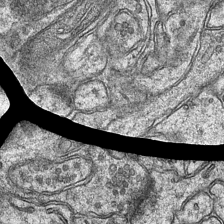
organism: Mouse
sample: CA1 Hippocampus